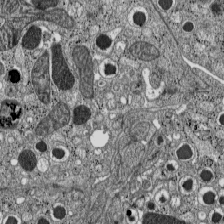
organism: C57BL Mouse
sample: Pancreatic islet